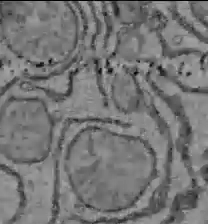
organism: C57BL Mouse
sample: Liver